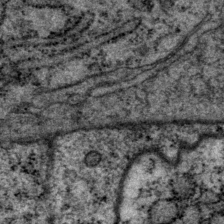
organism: P. pacificus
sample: Pharynx